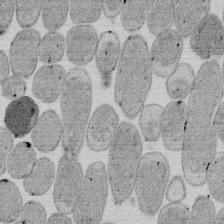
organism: E. coli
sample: Bacterial nucleoid